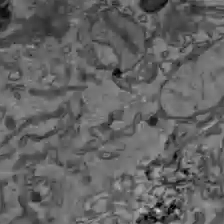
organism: C57BL Mouse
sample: Liver